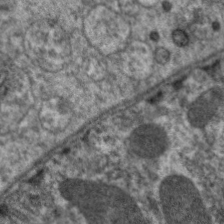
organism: C. elegans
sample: Pharynx